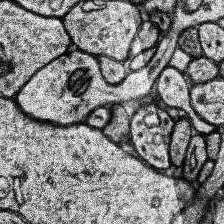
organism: Human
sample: Temporal Lobe